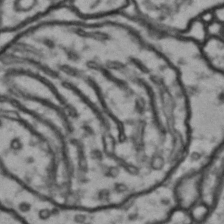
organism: Drosophila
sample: Brain